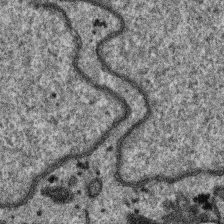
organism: Human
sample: Lung epithelial cells infected with SARS-CoV-2